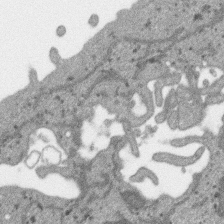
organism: Human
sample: Lung epithelial cells infected with SARS-CoV-2